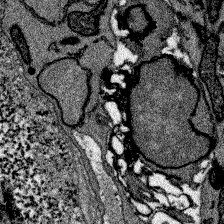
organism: Zebrafish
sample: Larval olfactory bulb